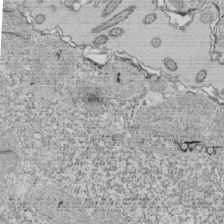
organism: Tetrahymena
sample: Cilia in tetrahymena